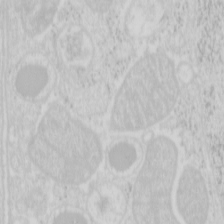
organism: Mouse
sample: Pancreas